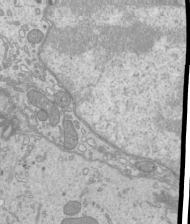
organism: Mouse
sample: Cilia; mouse epididymis